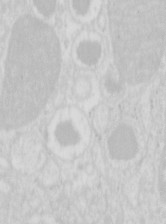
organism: Mouse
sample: Pancreas